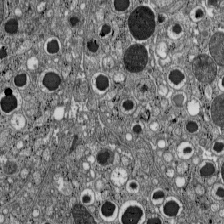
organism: C57BL Mouse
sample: Pancreatic islet